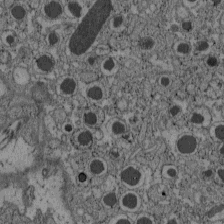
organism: C57BL Mouse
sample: Pancreatic islet